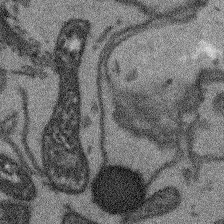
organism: Arabidopsis thaliana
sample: Root tip